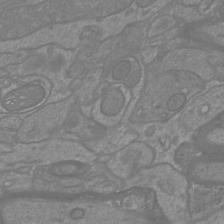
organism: Mouse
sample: Cortical neurons